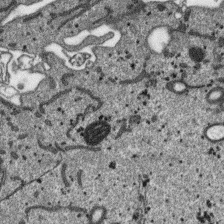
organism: Human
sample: Lung epithelial cells infected with SARS-CoV-2